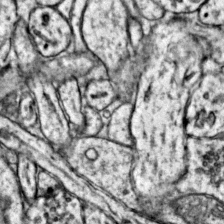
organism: Mouse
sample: Primary visual cortex